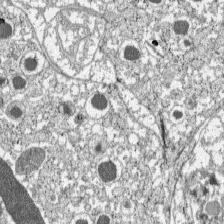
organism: C57BL Mouse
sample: Pancreatic islet